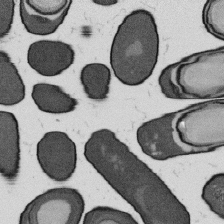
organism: B. subtilis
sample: Bacterial spore